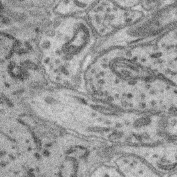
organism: Mouse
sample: Retina